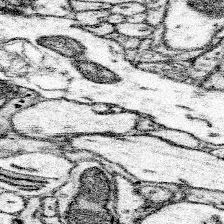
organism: Mouse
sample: Somatosensory cortex neuropil